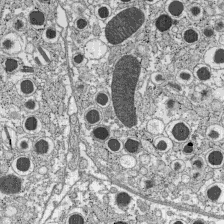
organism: C57BL Mouse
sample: Pancreatic islet